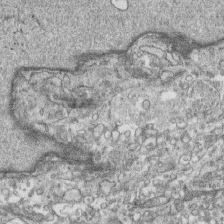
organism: Human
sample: CRL-1474